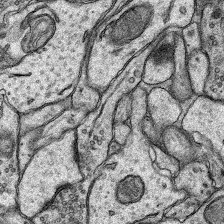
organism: Rat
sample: Hippocampus